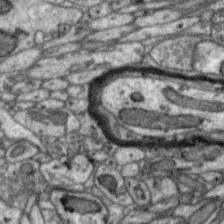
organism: Zebra finch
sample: Brain